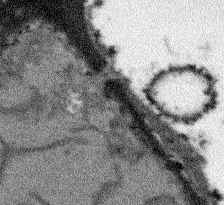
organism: Arabidopsis thaliana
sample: Root tip